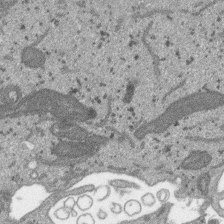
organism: Human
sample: Lung epithelial cells infected with SARS-CoV-2